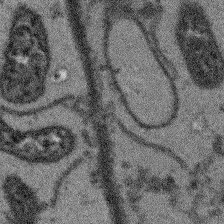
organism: Arabidopsis thaliana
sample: Root tip